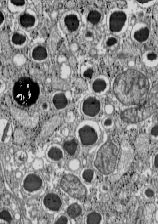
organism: C57BL Mouse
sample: Pancreatic islet